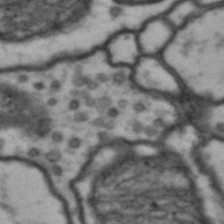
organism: Drosophila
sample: Brain